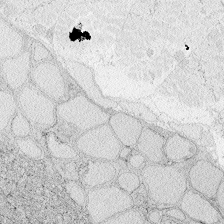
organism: Zebrafish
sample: Whole-Brain